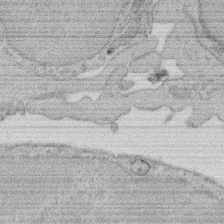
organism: Rat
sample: Salivary granule